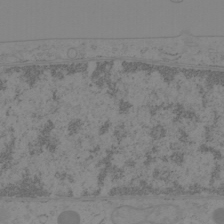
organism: Human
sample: HeLa cells